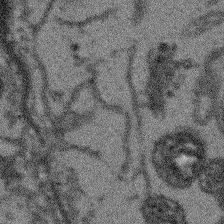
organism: Arabidopsis thaliana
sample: Root tip